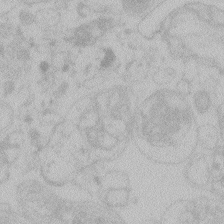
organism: Zebrafish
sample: Macrophage infected with Toxoplasma gondii